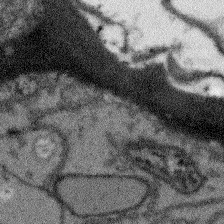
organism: Arabidopsis thaliana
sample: Root tip